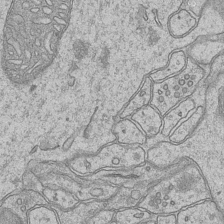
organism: Mouse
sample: CA1 Hippocampus